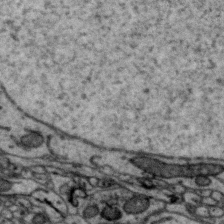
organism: Zebra finch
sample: Brain